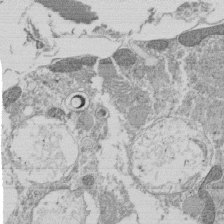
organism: Tetrahymena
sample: Cilia in tetrahymena